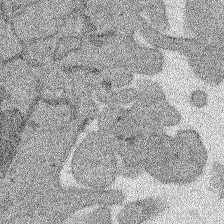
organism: Human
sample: HeLa cells